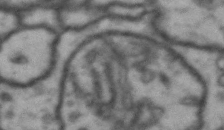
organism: Drosophila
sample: Brain